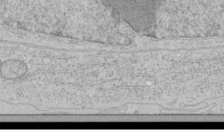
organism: Human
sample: Mitochondria in HCT116 cells